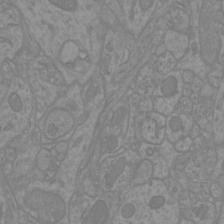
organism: Mouse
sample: Cortical neurons